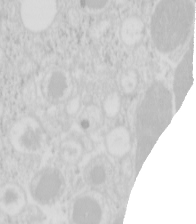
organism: Mouse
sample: Pancreas